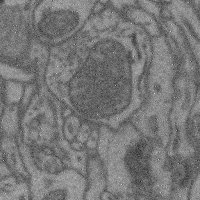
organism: Mouse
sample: Cerebral cortex